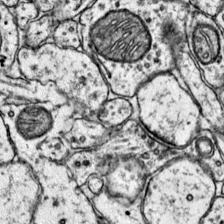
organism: Mouse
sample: Primary visual cortex